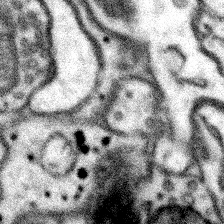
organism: Mouse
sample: Somatosensory cortex neuropil